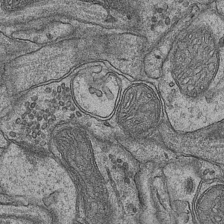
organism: Mouse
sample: CA1 Hippocampus